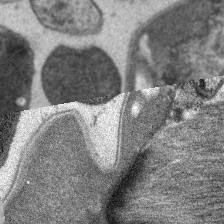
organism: C. elegans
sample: Pharynx